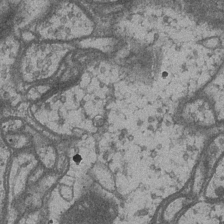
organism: Drosophila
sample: Optic medulla